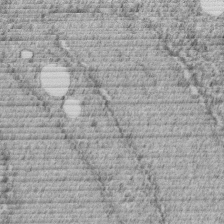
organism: C. elegans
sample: C. elegans embryo early stage